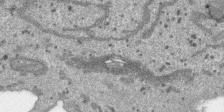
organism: Human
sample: Lung epithelial cells infected with SARS-CoV-2